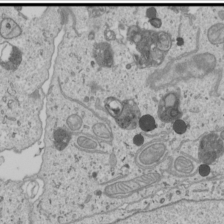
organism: Human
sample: Mitochondria in U2OS cells